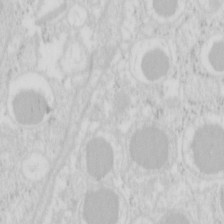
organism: Mouse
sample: Pancreas